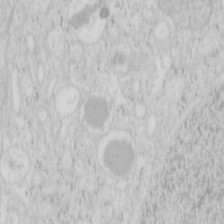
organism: Mouse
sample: Pancreas